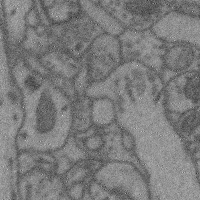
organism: Mouse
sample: Cerebral cortex